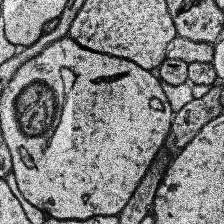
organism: Human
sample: Temporal Lobe